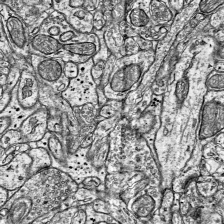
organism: Mouse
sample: Visual Cortex